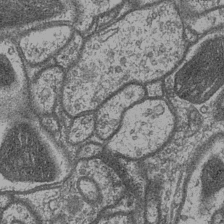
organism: Drosophila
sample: Optic medulla